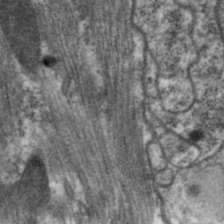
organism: C. elegans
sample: Pharynx